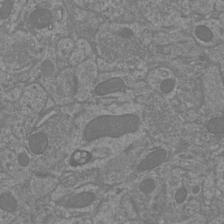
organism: Mouse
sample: Cortical neurons